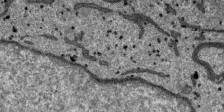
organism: Human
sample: Lung epithelial cells, uninfected (mock) control